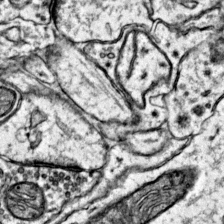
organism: Mouse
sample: Primary visual cortex